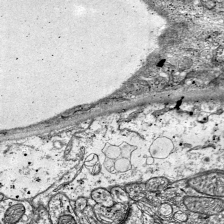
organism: Mouse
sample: Visual Cortex